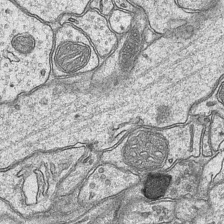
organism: Mouse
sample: CA1 Hippocampus